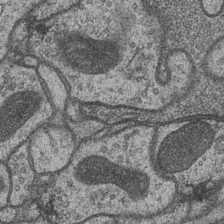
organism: Drosophila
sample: Optic medulla